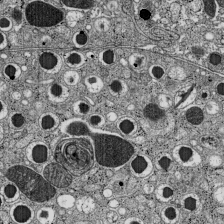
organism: C57BL Mouse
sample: Pancreatic islet